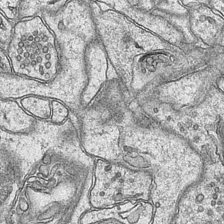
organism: Mouse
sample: CA1 Hippocampus